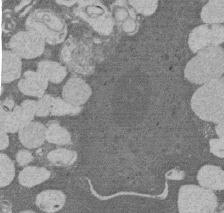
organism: Rat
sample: Salivary granule